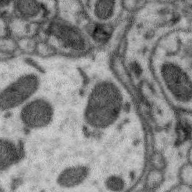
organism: Zebra finch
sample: Brain